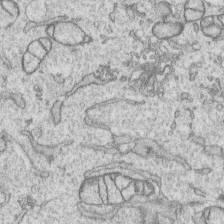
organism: Human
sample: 1205lu cells